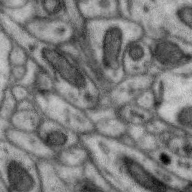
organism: Zebra finch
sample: Brain